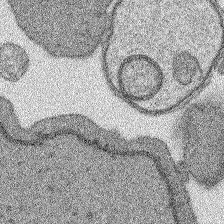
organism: Human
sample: HeLa cells